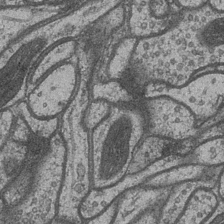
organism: Drosophila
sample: Optic medulla